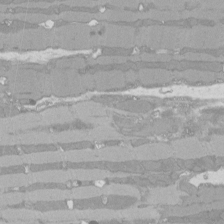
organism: Rat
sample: Left ventricle